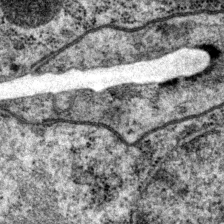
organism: P. pacificus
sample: Pharynx